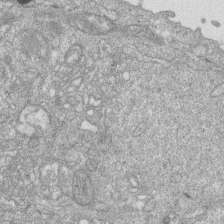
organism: Human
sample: HeLa cell HIV synapse